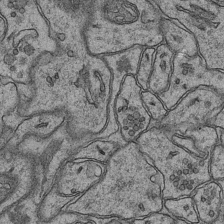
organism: Mouse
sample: CA1 Hippocampus